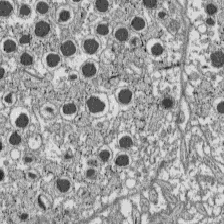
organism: C57BL Mouse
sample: Pancreatic islet